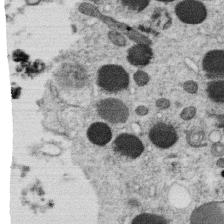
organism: C. elegans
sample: C. elegans oocyte; sperm cells